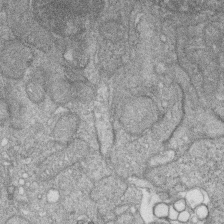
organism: Zebrafish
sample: Cilia; retinal pigment epithelium